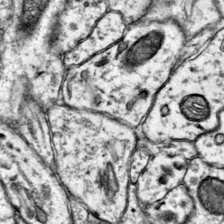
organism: Mouse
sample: Primary visual cortex